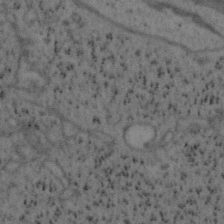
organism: Human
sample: HeLa cells